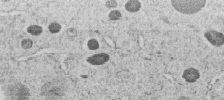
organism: C. elegans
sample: C. elegans embryo early stage